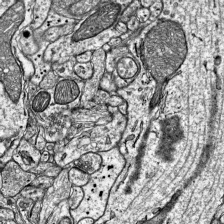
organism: Mouse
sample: Visual Cortex